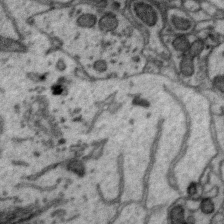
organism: Zebra finch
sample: Brain